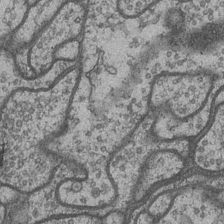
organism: Drosophila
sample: Optic medulla